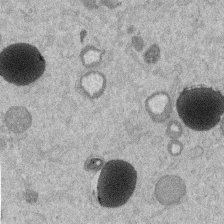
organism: Mouse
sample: Dividing mouse embryo 1 cell stage